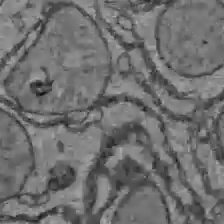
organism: C57BL Mouse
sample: Liver